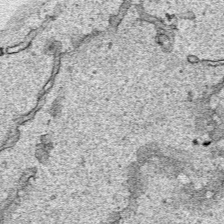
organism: Human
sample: Mitochondria in HCT116 cells